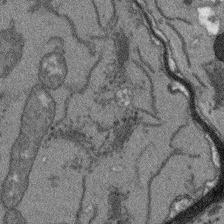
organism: Arabidopsis thaliana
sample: Root tip